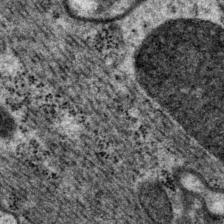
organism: P. pacificus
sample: Pharynx